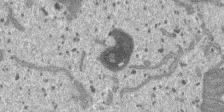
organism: Human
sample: Lung epithelial cells infected with SARS-CoV-2